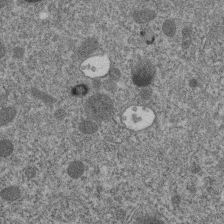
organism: C. elegans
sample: C. elegans embryo early stage